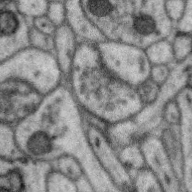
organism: Zebra finch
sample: Brain